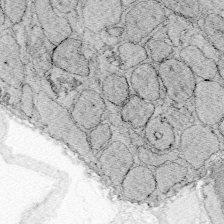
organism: Zebrafish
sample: Whole-Brain